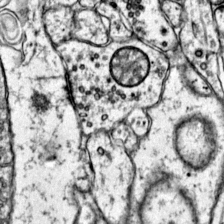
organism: Mouse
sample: Primary visual cortex